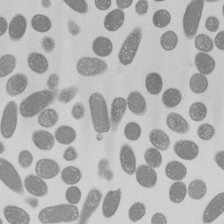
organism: E. coli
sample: Bacterial nucleoid